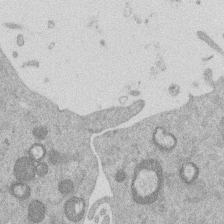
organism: Mouse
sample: Dividing mouse embryo 1 cell stage